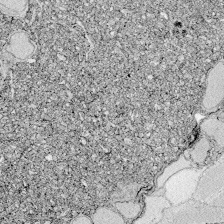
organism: Zebrafish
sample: Whole-Brain